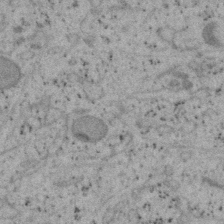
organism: Human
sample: HeLa cells